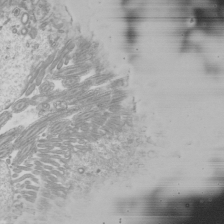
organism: Mouse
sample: Cilia; mouse epididymis